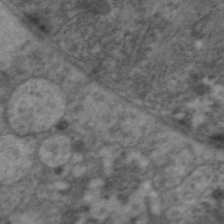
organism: C. elegans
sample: Pharynx